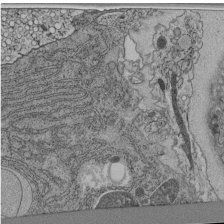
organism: C. elegans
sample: C. elegans pharynx